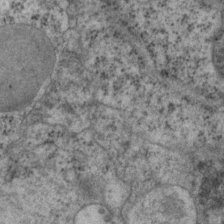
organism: P. pacificus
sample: Pharynx